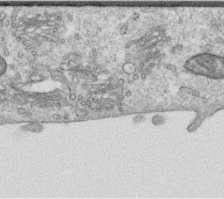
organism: Human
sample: Centriole in RPE cells